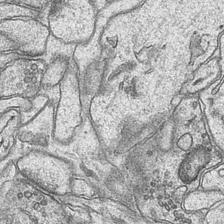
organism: Mouse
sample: CA1 Hippocampus